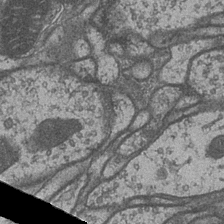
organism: Drosophila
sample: Optic medulla